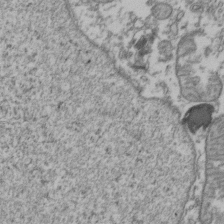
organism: Human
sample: Activated Jurkat CD4+ T cells